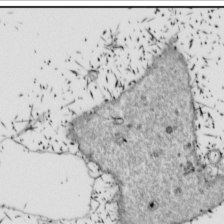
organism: Drosophila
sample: Cell division; meiosis; drosophila spermatocytes